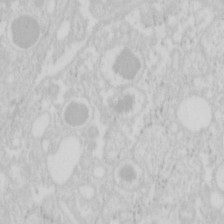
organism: Mouse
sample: Pancreas